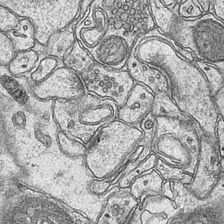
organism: Mouse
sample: CA1 Hippocampus